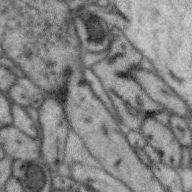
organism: Zebra finch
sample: Brain